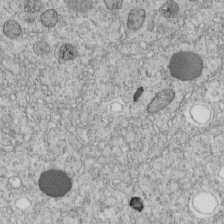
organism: C. elegans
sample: C. elegans embryo early stage